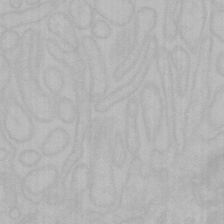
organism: Mouse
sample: Choroid plexus